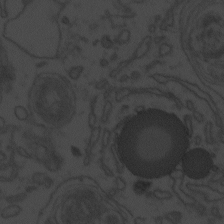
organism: Zebrafish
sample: Macrophage infected with Toxoplasma gondii